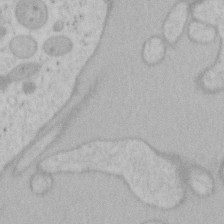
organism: Human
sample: HeLa cells